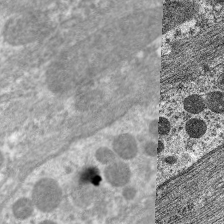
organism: C. elegans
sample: Pharynx